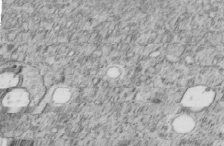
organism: C. elegans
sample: C. elegans embryo early stage